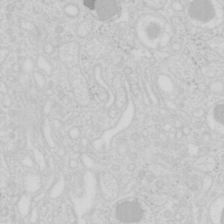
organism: Mouse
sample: Pancreas